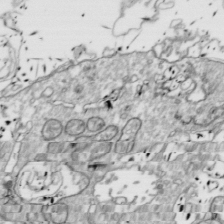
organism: Drosophila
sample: Cell division; meiosis; drosophila spermatocytes